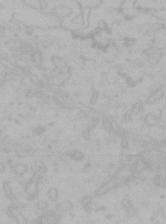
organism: Mouse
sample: Choroid plexus